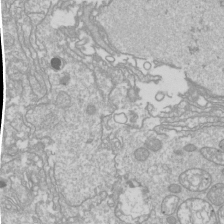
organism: Drosophila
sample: Cell division; meiosis; drosophila spermatocytes